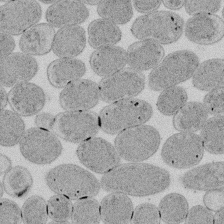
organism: E. coli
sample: Bacterial nucleoid